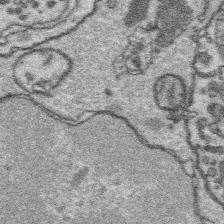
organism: Platynereis dumerilii